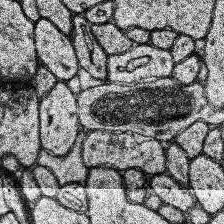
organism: Human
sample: Temporal Lobe